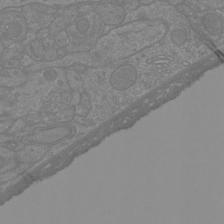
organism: Mouse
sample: Cortical neurons